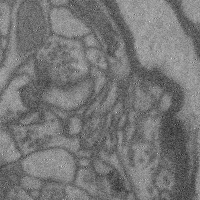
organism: Mouse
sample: Cerebral cortex